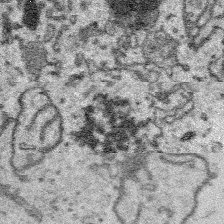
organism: Platynereis dumerilii